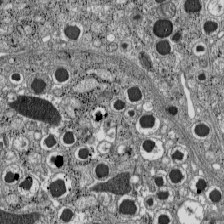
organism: C57BL Mouse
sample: Pancreatic islet